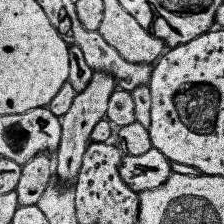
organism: Human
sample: Temporal Lobe